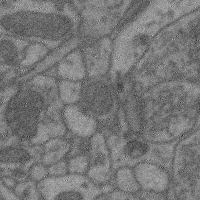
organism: Mouse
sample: Cerebral cortex